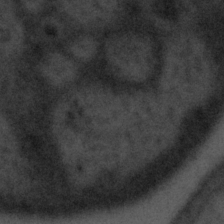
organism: Tuwongella immobilis